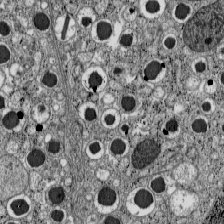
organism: C57BL Mouse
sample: Pancreatic islet